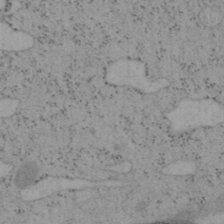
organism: Mouse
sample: OT-I killer T cells with ID8 ovarian cancer cells